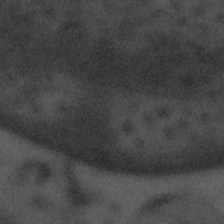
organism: Tuwongella immobilis